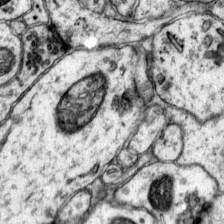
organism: Mouse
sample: Primary visual cortex